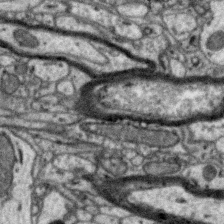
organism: Zebra finch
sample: Brain